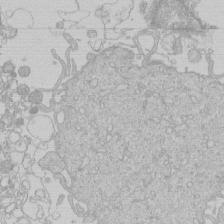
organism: Human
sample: Macrophage cells